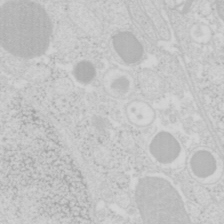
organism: Mouse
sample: Pancreas